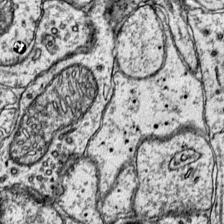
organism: Mouse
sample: Primary visual cortex